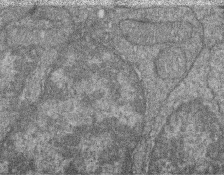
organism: Zebrafish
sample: Cilia; retinal pigment epithelium